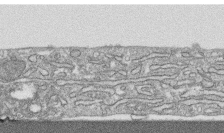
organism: Human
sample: CRL-1474